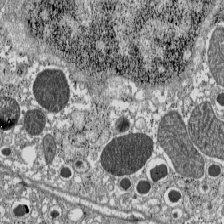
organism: C57BL Mouse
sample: Pancreatic islet